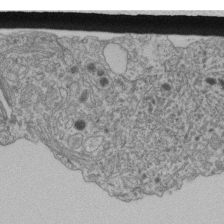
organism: Human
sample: Retinal organoid Rod and Cone cells